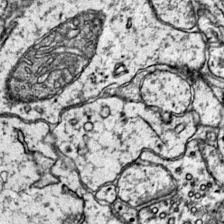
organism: Mouse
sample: Primary visual cortex